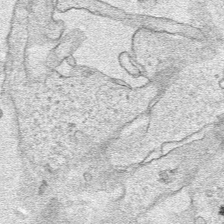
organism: Human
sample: Mitochondria in HCT116 cells